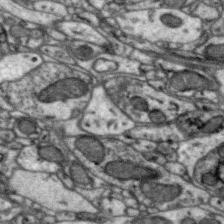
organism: Zebra finch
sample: Brain